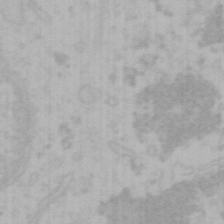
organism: Mouse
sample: Choroid plexus